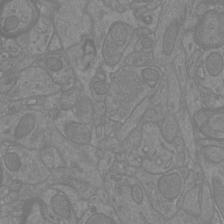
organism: Mouse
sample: Cortical neurons